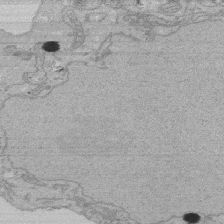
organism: Human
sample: Activated Jurkat CD4+ T cells